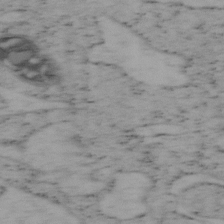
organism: Mouse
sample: OT-I killer T cells with ID8 ovarian cancer cells